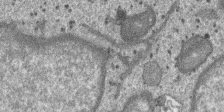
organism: Human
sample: Lung epithelial cells infected with SARS-CoV-2